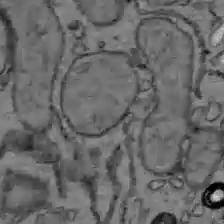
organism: C57BL Mouse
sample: Liver